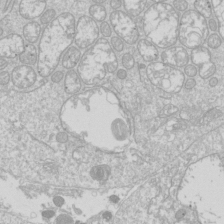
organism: Drosophila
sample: Cell division; meiosis; drosophila spermatocytes